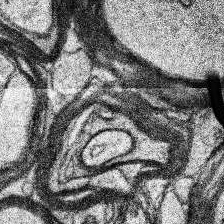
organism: Human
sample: Temporal Lobe